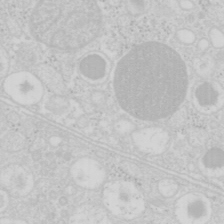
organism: Mouse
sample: Pancreas